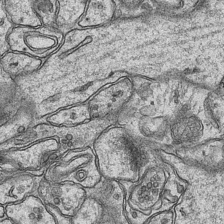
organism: Mouse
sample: CA1 Hippocampus